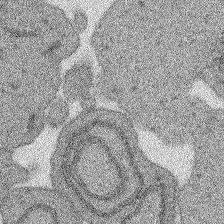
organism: Human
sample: HeLa cells